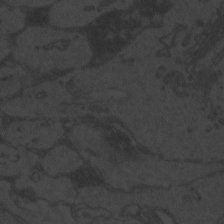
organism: Zebrafish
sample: Macrophage infected with Toxoplasma gondii